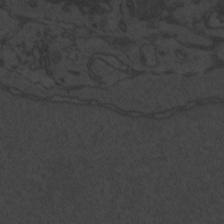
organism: Zebrafish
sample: Macrophage infected with Toxoplasma gondii